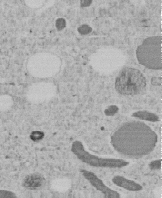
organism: C. elegans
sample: C. elegans embryo early stage